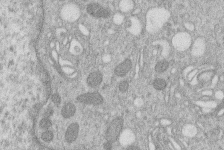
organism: Human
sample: Macrophage cells